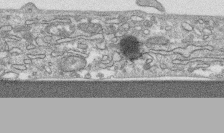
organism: Human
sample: CRL-1474